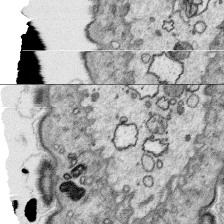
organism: Platynereis dumerilii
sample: Parapodia